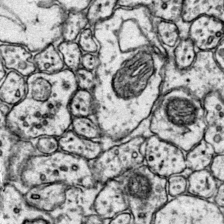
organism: Mouse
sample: Primary visual cortex